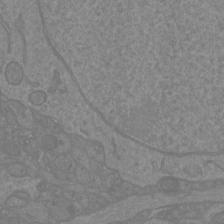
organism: Mouse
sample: Cortical neurons